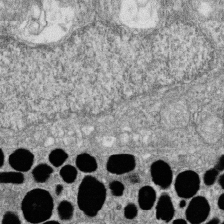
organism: Zebrafish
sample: Cilia; retinal pigment epithelium